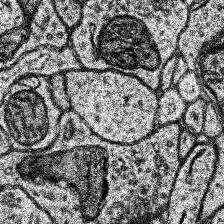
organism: Human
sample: Temporal Lobe